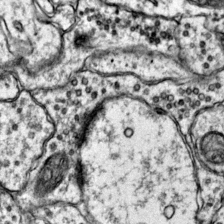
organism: Mouse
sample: Primary visual cortex